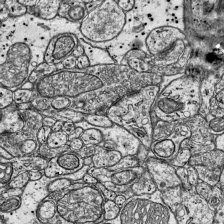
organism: Mouse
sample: Visual Cortex